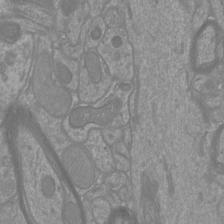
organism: Mouse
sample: Cortical neurons